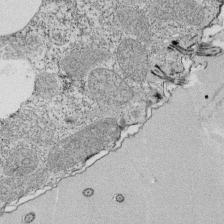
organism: Tetrahymena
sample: Cilia in tetrahymena